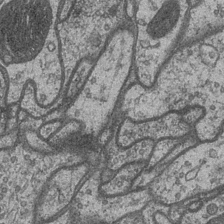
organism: Drosophila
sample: Optic medulla